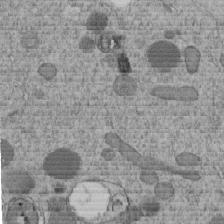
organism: C. elegans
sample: C. elegans embryo early stage